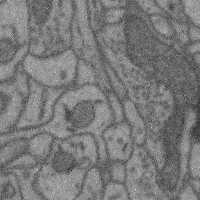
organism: Mouse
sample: Cerebral cortex